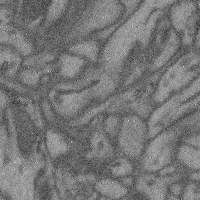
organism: Mouse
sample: Cerebral cortex